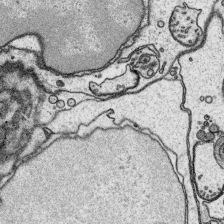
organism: Platynereis dumerilii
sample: Parapodia